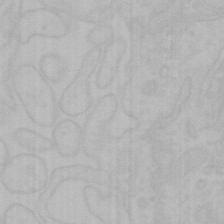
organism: Mouse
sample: Choroid plexus